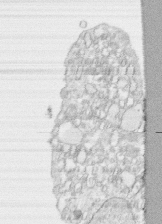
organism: Human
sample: CRL-1474